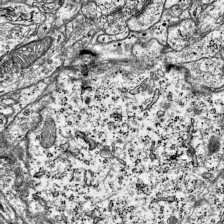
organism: Mouse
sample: Visual Cortex